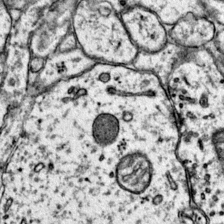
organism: Mouse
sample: Primary visual cortex